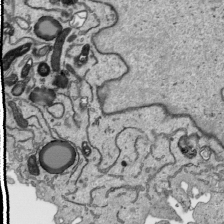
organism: Human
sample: Mitochondria in HCT116 cells